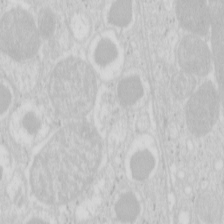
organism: Mouse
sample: Pancreas